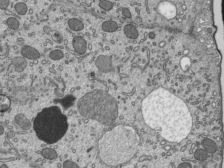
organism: Mouse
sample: Mouse epididymis efferent ductule cilia